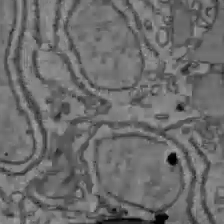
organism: C57BL Mouse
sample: Liver